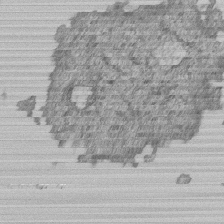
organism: Human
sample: MDA-MB-231 cells